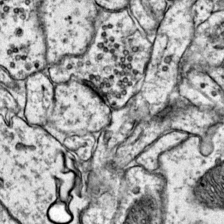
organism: Mouse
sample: Primary visual cortex